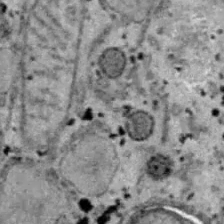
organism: Mouse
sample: Liver from an obese (ob/ob) mouse